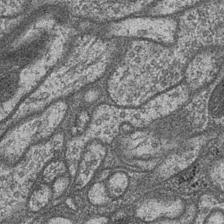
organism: Drosophila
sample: Optic medulla